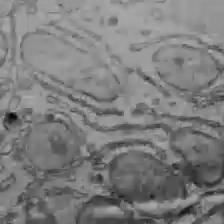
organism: C57BL Mouse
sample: Liver